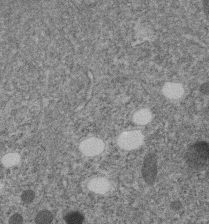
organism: C. elegans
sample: C. elegans embryo early stage